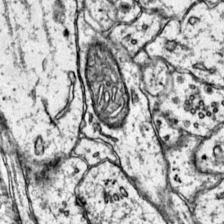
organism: Mouse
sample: Primary visual cortex